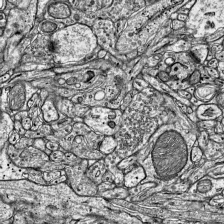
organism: Mouse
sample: Visual Cortex